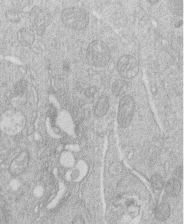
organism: Human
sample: Macrophage cells